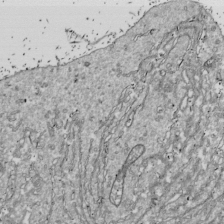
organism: Drosophila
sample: Cell division; meiosis; drosophila spermatocytes